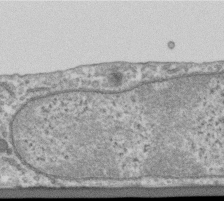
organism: Human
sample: Centriole in RPE cells